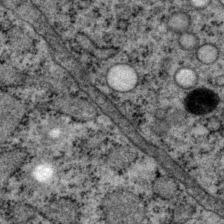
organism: P. pacificus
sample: Pharynx